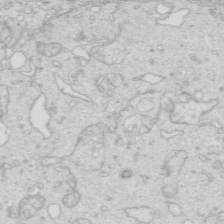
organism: Mouse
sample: Multiciliated cells